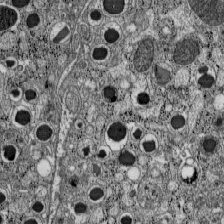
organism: C57BL Mouse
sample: Pancreatic islet